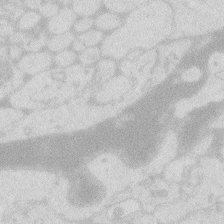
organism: Zebrafish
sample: Macrophage